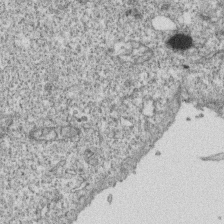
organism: Human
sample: HeLa cell HIV synapse